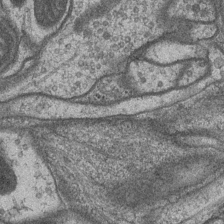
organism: Drosophila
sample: Optic medulla